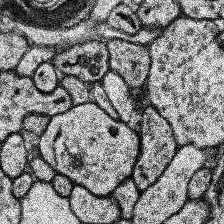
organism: Human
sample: Temporal Lobe